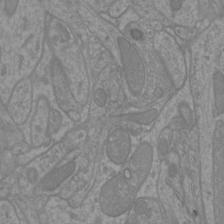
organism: Mouse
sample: Cortical neurons